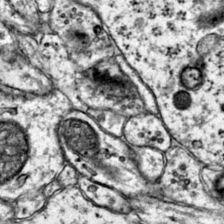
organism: Mouse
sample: Primary visual cortex